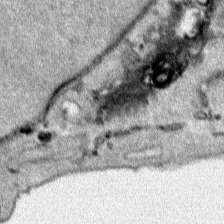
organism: Human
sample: Mitochondria in HCT116 cells